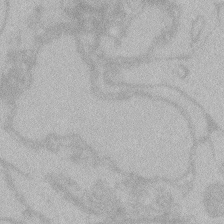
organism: Zebrafish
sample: Macrophage infected with Toxoplasma gondii